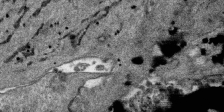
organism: Human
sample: Lung epithelial cells, uninfected (mock) control